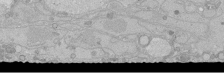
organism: Human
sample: Caco-2 cells